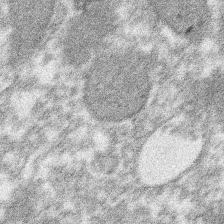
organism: Xenopus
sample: Cilia; centrioles in frog embryo cells